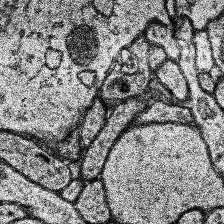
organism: Human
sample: Temporal Lobe